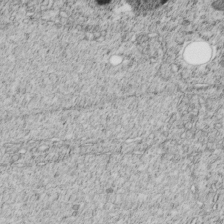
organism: C. elegans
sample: C. elegans embryo early stage